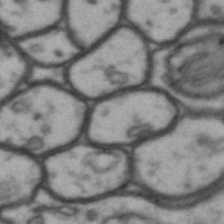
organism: Drosophila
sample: Brain